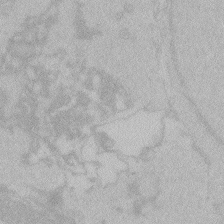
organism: Zebrafish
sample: Macrophage infected with Toxoplasma gondii